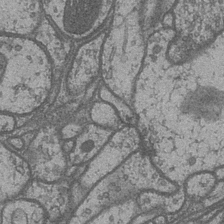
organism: Drosophila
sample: Optic medulla